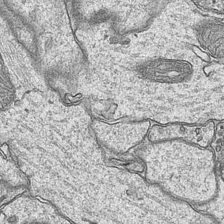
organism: Mouse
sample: CA1 Hippocampus